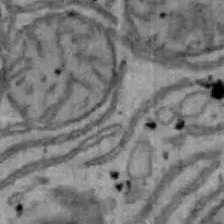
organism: Mouse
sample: Liver